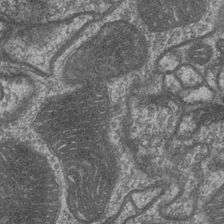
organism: Drosophila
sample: Optic medulla